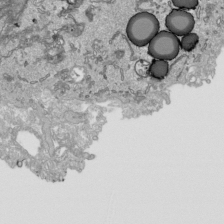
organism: Human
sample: Mitochondria in HCT116 cells